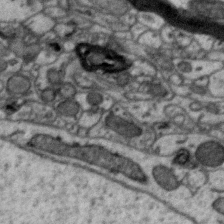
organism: Zebra finch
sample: Brain